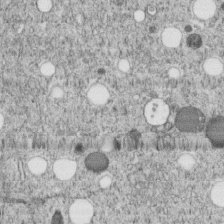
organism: C. elegans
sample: C. elegans embryo early stage